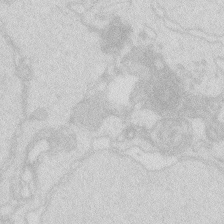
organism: Zebrafish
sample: Macrophage